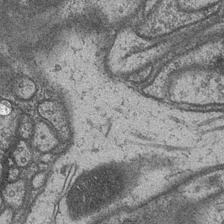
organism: Drosophila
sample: Optic medulla